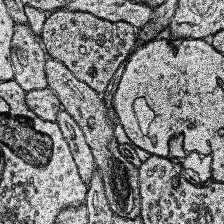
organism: Human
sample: Temporal Lobe